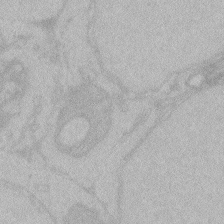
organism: Zebrafish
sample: Macrophage infected with Toxoplasma gondii